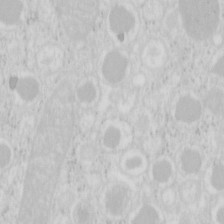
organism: Mouse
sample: Pancreas